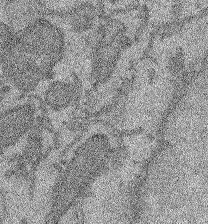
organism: Human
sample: HeLa cells